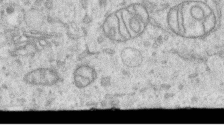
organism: Human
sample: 1205lu cells